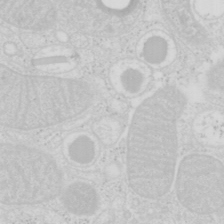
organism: Mouse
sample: Pancreas